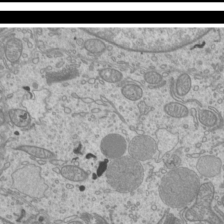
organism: Mouse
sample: Cilia; mouse epididymis